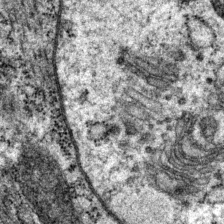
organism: P. pacificus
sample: Pharynx